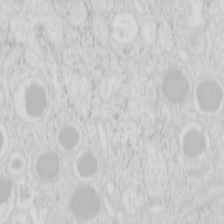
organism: Mouse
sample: Pancreas